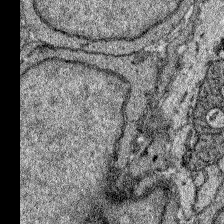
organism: Zebrafish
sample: Larval olfactory bulb